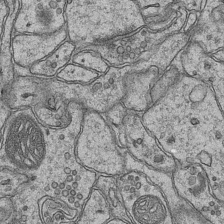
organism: Mouse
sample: CA1 Hippocampus